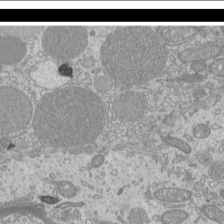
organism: Mouse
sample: Cilia; mouse epididymis